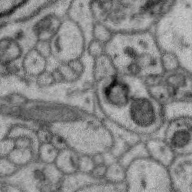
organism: Zebra finch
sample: Brain